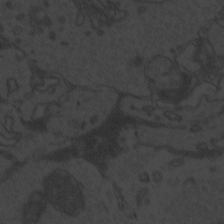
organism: Zebrafish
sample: Macrophage infected with Toxoplasma gondii